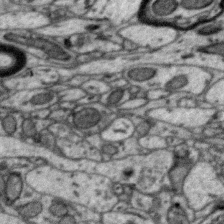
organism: Zebra finch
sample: Brain